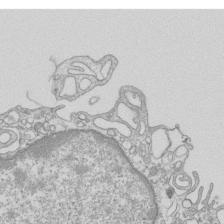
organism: Mouse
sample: Macrophages